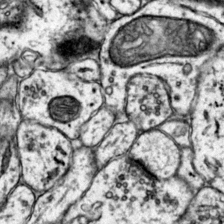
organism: Mouse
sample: Primary visual cortex